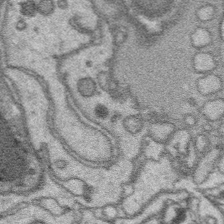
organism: Platynereis dumerilii